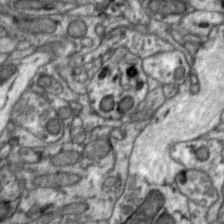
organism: Zebra finch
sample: Brain